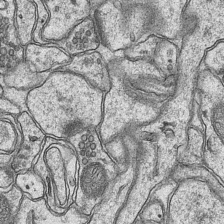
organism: Mouse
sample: CA1 Hippocampus